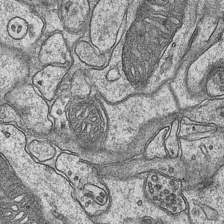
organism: Mouse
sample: CA1 Hippocampus